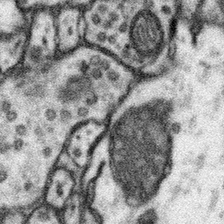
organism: Mouse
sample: Somatosensory cortex neuropil